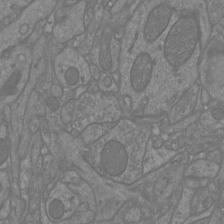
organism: Mouse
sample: Cortical neurons